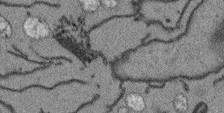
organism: Arabidopsis thaliana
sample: Root tip